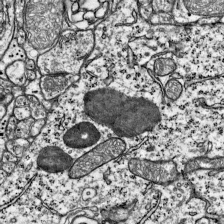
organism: Mouse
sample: Visual Cortex